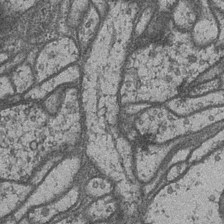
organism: Drosophila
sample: Optic medulla